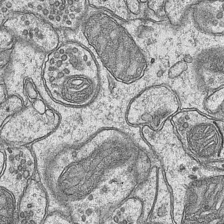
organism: Mouse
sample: CA1 Hippocampus